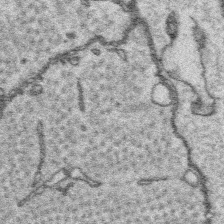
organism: Platynereis dumerilii